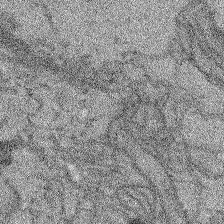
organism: Human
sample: HeLa cells